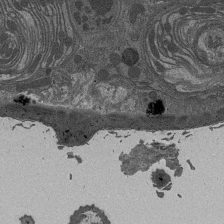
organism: Drosophila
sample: Antenna